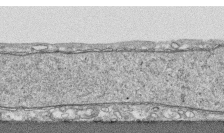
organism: Human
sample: CRL-1474